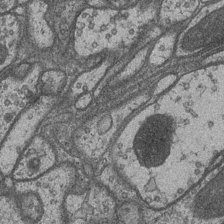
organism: Drosophila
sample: Optic medulla